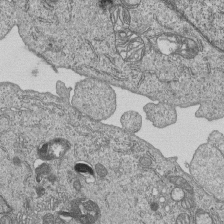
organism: Human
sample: MDA-MB-231 cells